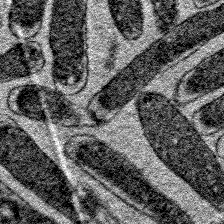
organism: E. coli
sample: E. Coli Bacteria